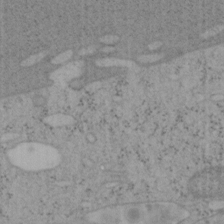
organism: Mouse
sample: OT-I killer T cells with ID8 ovarian cancer cells